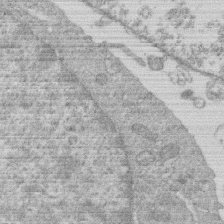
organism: Human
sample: Macrophage cells